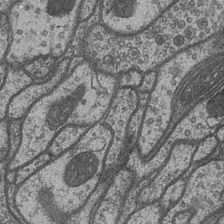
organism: Drosophila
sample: Optic medulla